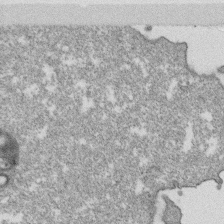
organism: African green monkey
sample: Vero E6 cells infected with SARS-CoV-2